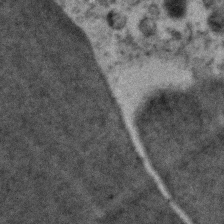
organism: Zebrafish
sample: Zebrafish embryo